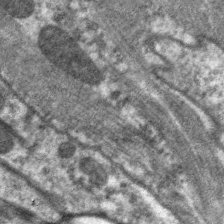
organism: C. elegans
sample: Pharynx